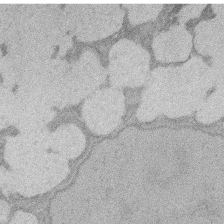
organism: Rat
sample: Salivary granule